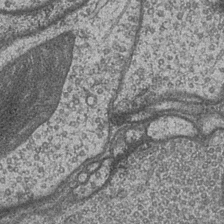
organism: Drosophila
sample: Optic medulla